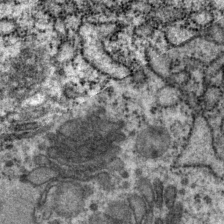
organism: P. pacificus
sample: Pharynx